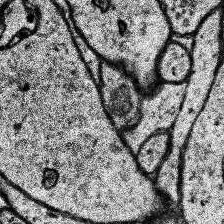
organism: Human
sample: Temporal Lobe